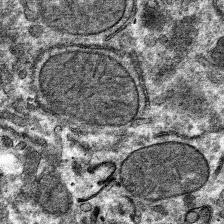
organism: Mouse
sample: Mouse hepatocytes